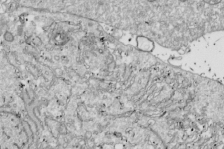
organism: Drosophila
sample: Cell division; meiosis; drosophila spermatocytes